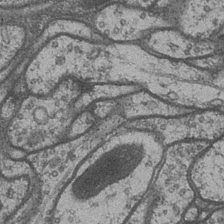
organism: Drosophila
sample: Optic medulla